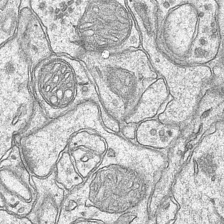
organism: Mouse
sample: CA1 Hippocampus